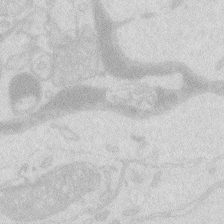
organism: Zebrafish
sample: Macrophage